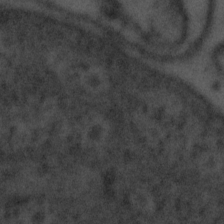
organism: Tuwongella immobilis